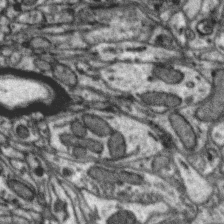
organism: Zebra finch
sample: Brain